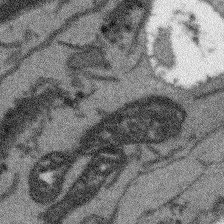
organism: Arabidopsis thaliana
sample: Root tip